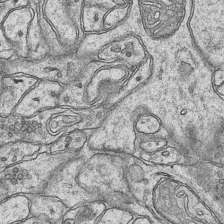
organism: Mouse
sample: CA1 Hippocampus